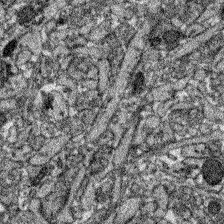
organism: Zebrafish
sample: Larval olfactory bulb